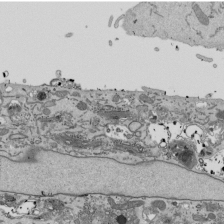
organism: Mouse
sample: ED-1 cell nuclei; centrioles